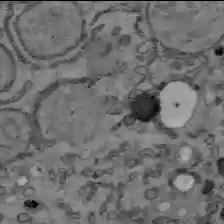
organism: C57BL Mouse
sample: Liver